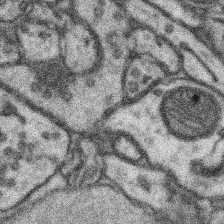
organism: Mouse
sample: Somatosensory cortex neuropil